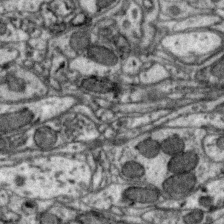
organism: Zebra finch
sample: Brain